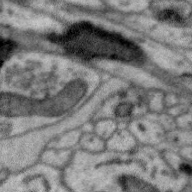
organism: Zebra finch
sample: Brain